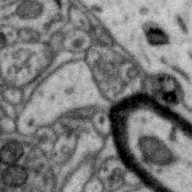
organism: Zebra finch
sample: Brain